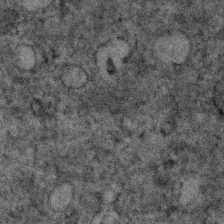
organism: Human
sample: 1205lu cells